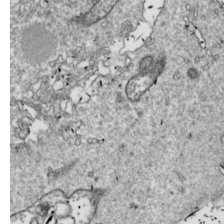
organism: Drosophila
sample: Cell division; meiosis; drosophila spermatocytes